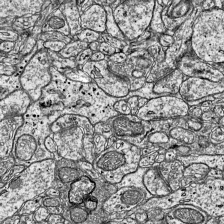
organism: Mouse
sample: Visual Cortex